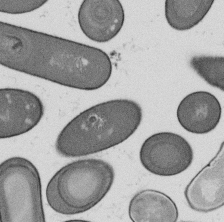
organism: B. subtilis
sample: Bacterial spore